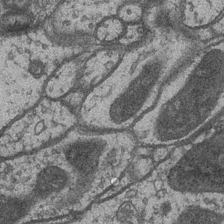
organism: Drosophila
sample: Optic medulla